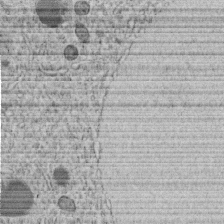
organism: C. elegans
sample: C. elegans embryo early stage